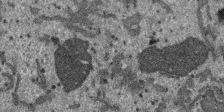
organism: Human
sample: Lung epithelial cells infected with SARS-CoV-2